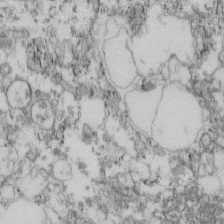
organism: Mouse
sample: Cilia; retinal pigment epithelium